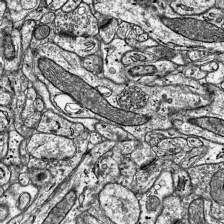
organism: Mouse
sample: Visual Cortex